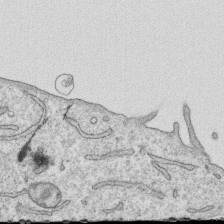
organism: Human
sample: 1205lu cells